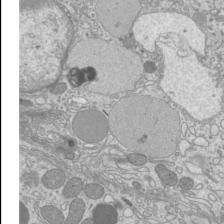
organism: Mouse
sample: Cilia; mouse epididymis